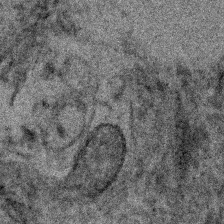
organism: Human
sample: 1205lu cells